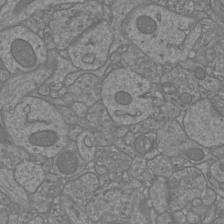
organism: Mouse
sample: Cortical neurons